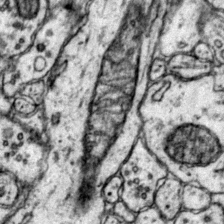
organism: Mouse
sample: Primary visual cortex